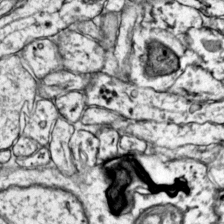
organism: Mouse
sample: Primary visual cortex